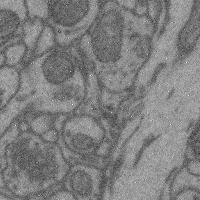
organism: Mouse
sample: Cerebral cortex